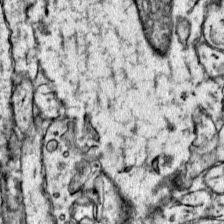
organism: Mouse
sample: Primary visual cortex